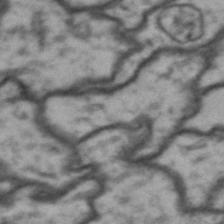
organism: Drosophila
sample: Brain